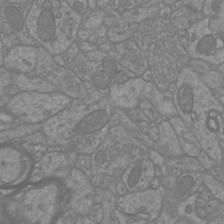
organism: Mouse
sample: Cortical neurons